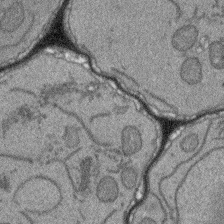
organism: Arabidopsis thaliana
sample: Root tip